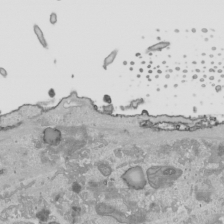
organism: Human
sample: Mitochondria in HCT116 cells